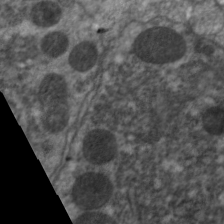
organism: C. elegans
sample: Pharynx